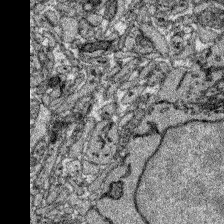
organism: Zebrafish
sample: Larval olfactory bulb